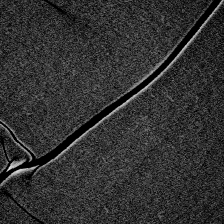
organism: Zebrafish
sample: Whole-Brain